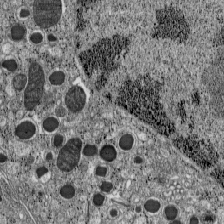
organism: C57BL Mouse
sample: Pancreatic islet